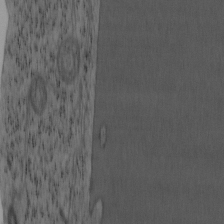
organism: Human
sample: HeLa cells